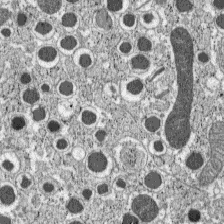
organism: C57BL Mouse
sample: Pancreatic islet